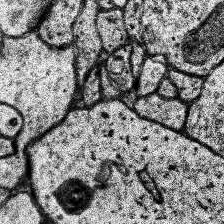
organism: Human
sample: Temporal Lobe